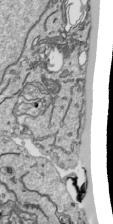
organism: Human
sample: Mitochondria in HCT116 cells